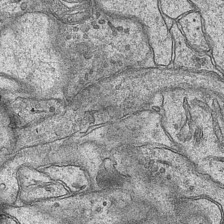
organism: Mouse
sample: CA1 Hippocampus